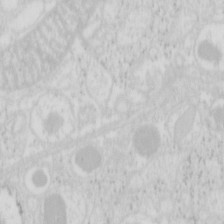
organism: Mouse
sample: Pancreas